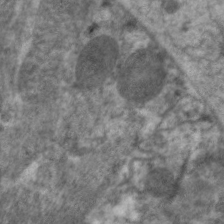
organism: C. elegans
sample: Pharynx